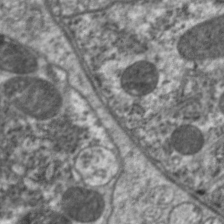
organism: C. elegans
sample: Pharynx